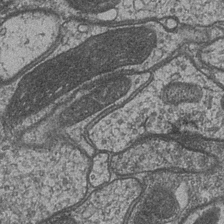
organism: Drosophila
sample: Optic medulla